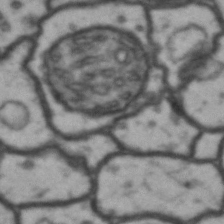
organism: Drosophila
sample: Brain